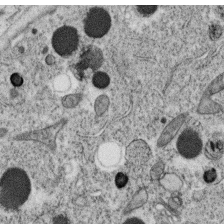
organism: C. elegans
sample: C. elegans oocyte; sperm cells